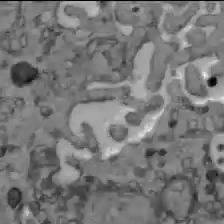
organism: C57BL Mouse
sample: Liver